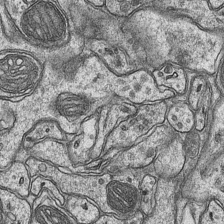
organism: Mouse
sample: CA1 Hippocampus